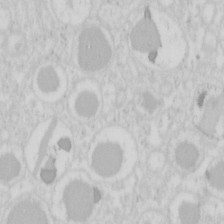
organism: Mouse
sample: Pancreas